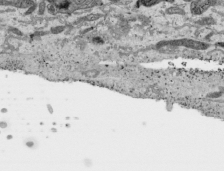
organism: Human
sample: Mitochondria in HCT116 cells